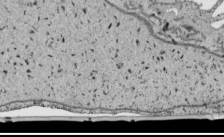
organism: Human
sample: Mitochondria in HCT116 cells